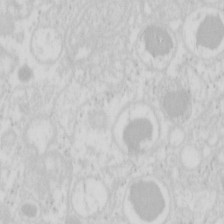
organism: Mouse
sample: Pancreas